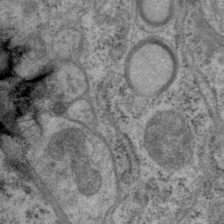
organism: P. pacificus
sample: Pharynx